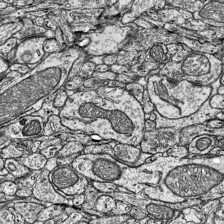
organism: Mouse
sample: Visual Cortex